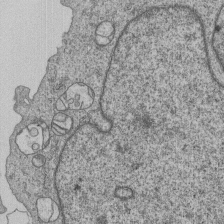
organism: Human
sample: MDA-MB-231 cells